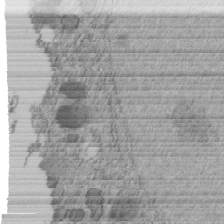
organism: C. elegans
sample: C. elegans embryo early stage